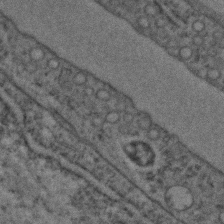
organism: C. elegans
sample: C. elegans embryo